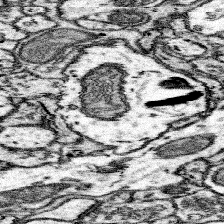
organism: Mouse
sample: Somatosensory cortex neuropil